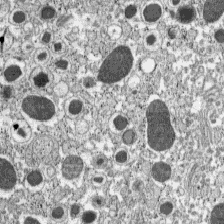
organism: C57BL Mouse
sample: Pancreatic islet